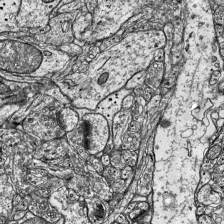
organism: Mouse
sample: Visual Cortex